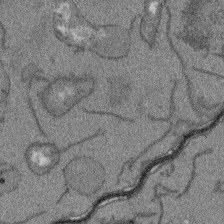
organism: Arabidopsis thaliana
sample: Root tip